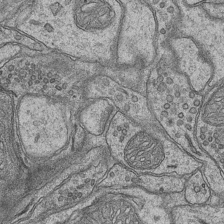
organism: Mouse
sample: CA1 Hippocampus